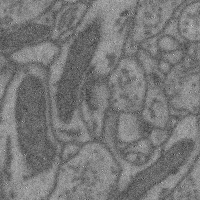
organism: Mouse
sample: Cerebral cortex